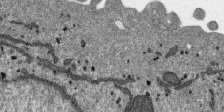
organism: Human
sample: Lung epithelial cells, uninfected (mock) control